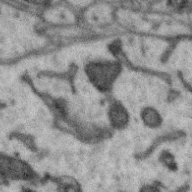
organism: Zebra finch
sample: Brain